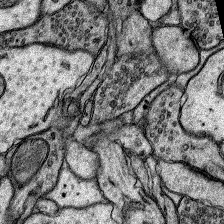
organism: Rat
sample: Hippocampus